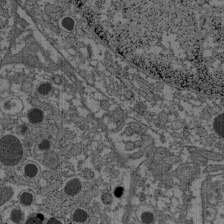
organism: C57BL Mouse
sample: Pancreatic islet